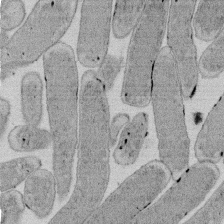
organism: E. coli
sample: Bacterial nucleoid